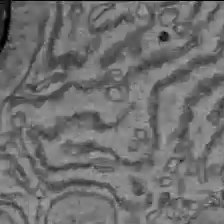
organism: C57BL Mouse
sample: Liver